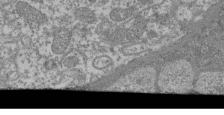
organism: Mouse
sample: Glomerulus